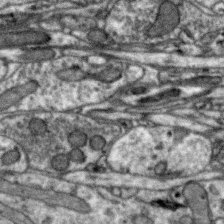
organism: Zebra finch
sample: Brain